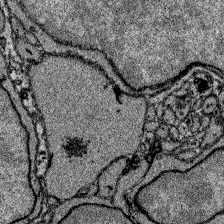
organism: Zebrafish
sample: Larval olfactory bulb